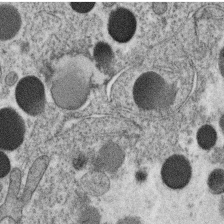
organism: C. elegans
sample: C. elegans oocyte; sperm cells